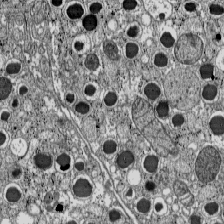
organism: C57BL Mouse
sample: Pancreatic islet